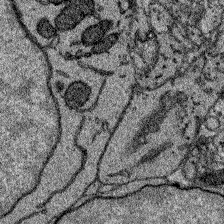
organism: Zebrafish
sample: Larval olfactory bulb